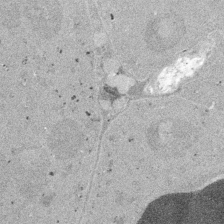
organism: Embia sp.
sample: Silk gland